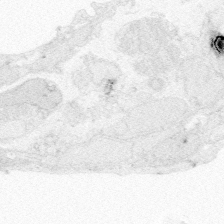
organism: Zebrafish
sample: Whole-Brain